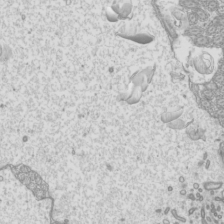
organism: Mouse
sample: Cilia; mouse epididymis